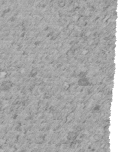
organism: C. elegans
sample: C. elegans embryo early stage